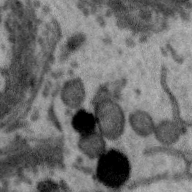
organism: Zebra finch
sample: Brain